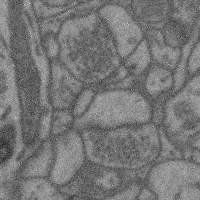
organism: Mouse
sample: Cerebral cortex